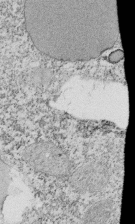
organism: Tetrahymena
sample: Cilia in tetrahymena